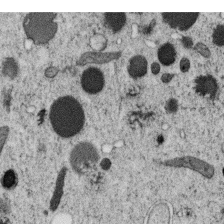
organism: C. elegans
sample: C. elegans oocyte; sperm cells